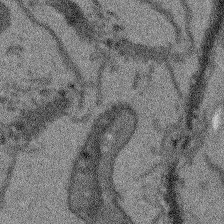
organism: Arabidopsis thaliana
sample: Root tip